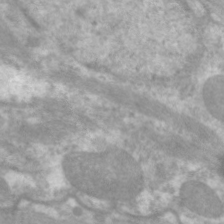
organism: C. elegans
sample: Pharynx